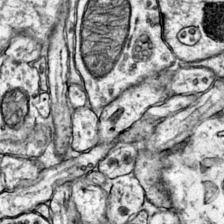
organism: Mouse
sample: Primary visual cortex